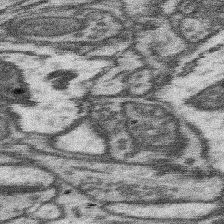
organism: Mouse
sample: Somatosensory cortex neuropil